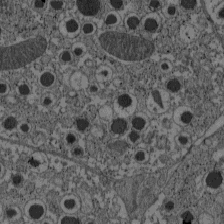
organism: C57BL Mouse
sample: Pancreatic islet